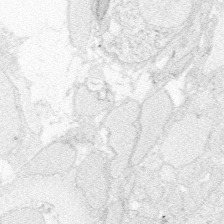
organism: Zebrafish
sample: Whole-Brain